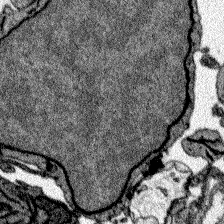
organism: Zebrafish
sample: Larval olfactory bulb